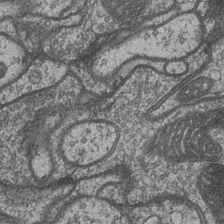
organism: Drosophila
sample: Optic medulla